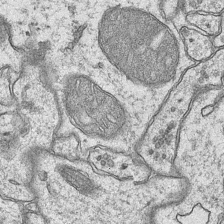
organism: Mouse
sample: CA1 Hippocampus